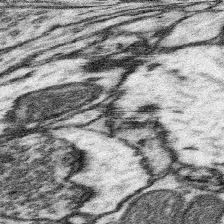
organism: Mouse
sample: Somatosensory cortex neuropil